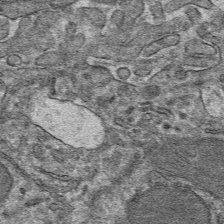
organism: Mouse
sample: Mouse hepatocytes